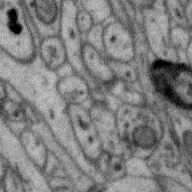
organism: Zebra finch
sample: Brain